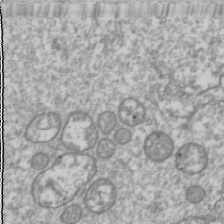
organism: Drosophila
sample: Cell division; meiosis; drosophila spermatocytes